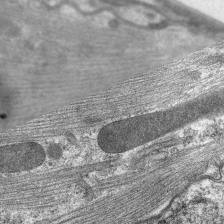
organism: C. elegans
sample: Pharynx